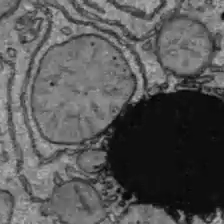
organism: C57BL Mouse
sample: Liver